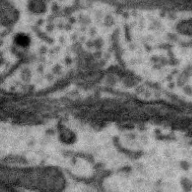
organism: Zebra finch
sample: Brain